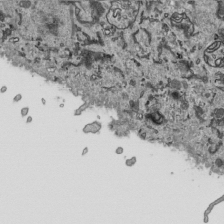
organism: Human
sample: Mitochondria in HCT116 cells